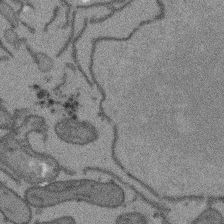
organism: Arabidopsis thaliana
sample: Root tip